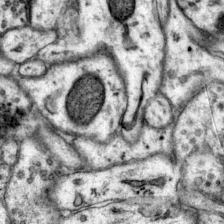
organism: Mouse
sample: Primary visual cortex